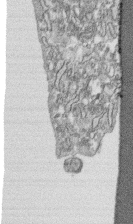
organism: Human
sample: CRL-1474